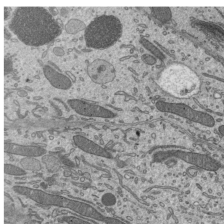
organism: Mouse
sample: Mouse epididymis efferent ductule cilia